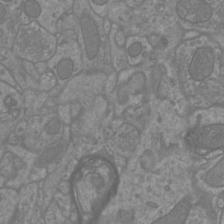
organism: Mouse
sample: Cortical neurons